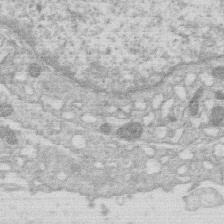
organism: Human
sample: Macrophage cells